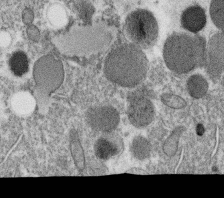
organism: C. elegans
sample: C. elegans oocyte; sperm cells